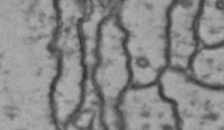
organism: Drosophila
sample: Brain